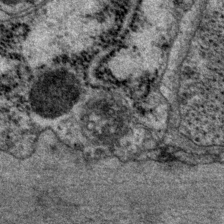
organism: P. pacificus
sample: Pharynx